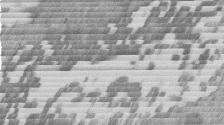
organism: Mouse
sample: Dividing mouse embryo 1 cell stage